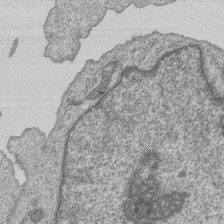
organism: Human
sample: MDA-MB-231 cells